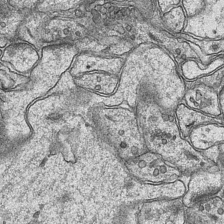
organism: Mouse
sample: CA1 Hippocampus